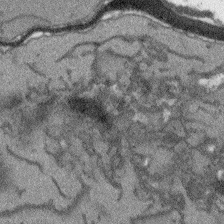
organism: Arabidopsis thaliana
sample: Root tip